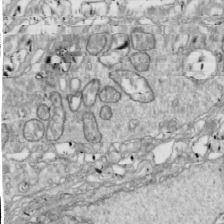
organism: Drosophila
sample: Cell division; meiosis; drosophila spermatocytes